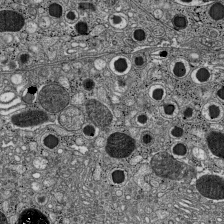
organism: C57BL Mouse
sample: Pancreatic islet